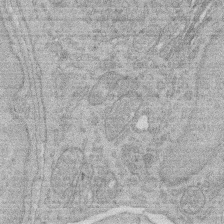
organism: Rat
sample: Salivary granule